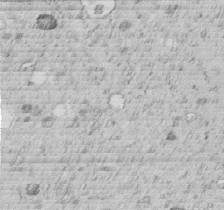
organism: C. elegans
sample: C. elegans embryo early stage